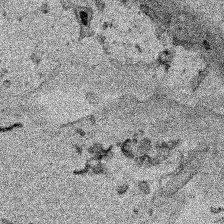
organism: Human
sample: Mitochondria in HCT116 cells